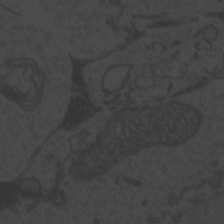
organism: Zebrafish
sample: Macrophage infected with Toxoplasma gondii